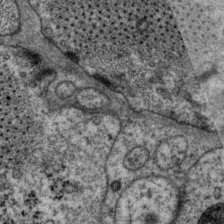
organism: P. pacificus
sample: Pharynx